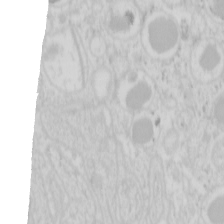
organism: Mouse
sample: Pancreas